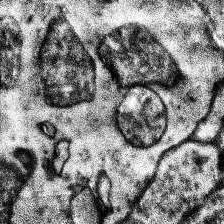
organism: Human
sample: Temporal Lobe